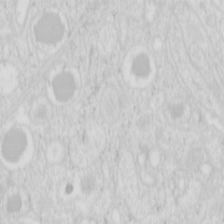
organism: Mouse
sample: Pancreas